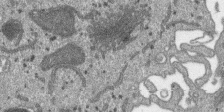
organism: Human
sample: Lung epithelial cells infected with SARS-CoV-2